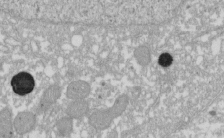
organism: Xenopus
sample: Cilia; centrioles in frog embryo cells